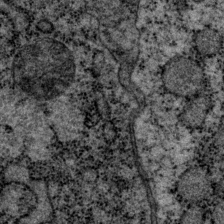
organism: P. pacificus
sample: Pharynx